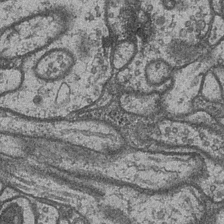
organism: Drosophila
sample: Optic medulla